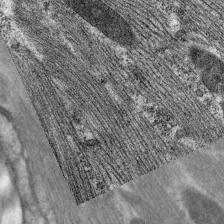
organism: C. elegans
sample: Pharynx